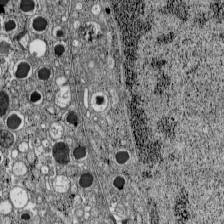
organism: C57BL Mouse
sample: Pancreatic islet